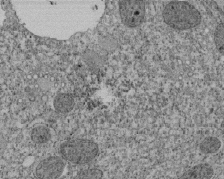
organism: Tetrahymena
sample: Cilia in tetrahymena